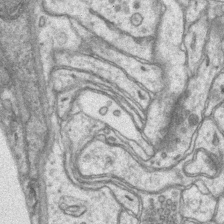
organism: Mouse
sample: CA1 Hippocampus